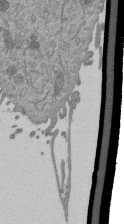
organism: Mouse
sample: ED-1 cell nuclei; centrioles